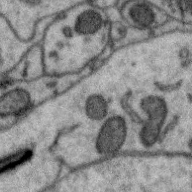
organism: Zebra finch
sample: Brain